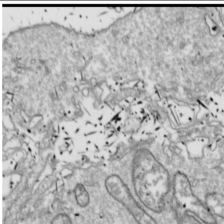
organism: Drosophila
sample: Cell division; meiosis; drosophila spermatocytes